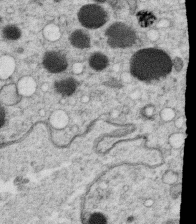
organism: C. elegans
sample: C. elegans oocyte; sperm cells